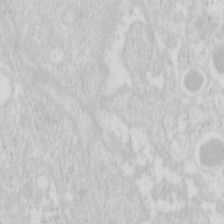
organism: Mouse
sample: Pancreas